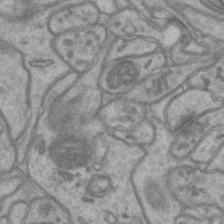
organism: Mouse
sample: CA1 Hippocampus